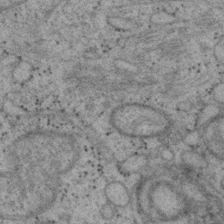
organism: Human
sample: HeLa cells